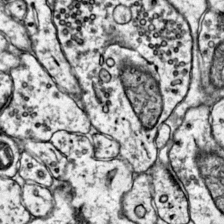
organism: Mouse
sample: Primary visual cortex